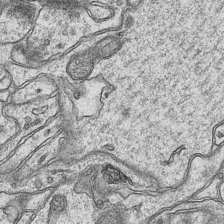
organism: Mouse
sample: CA1 Hippocampus